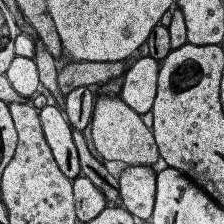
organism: Human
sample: Temporal Lobe